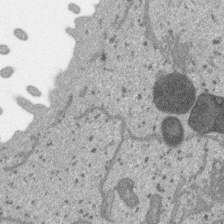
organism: Human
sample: Lung epithelial cells infected with SARS-CoV-2